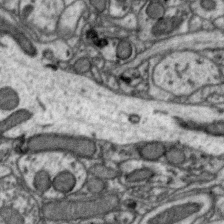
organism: Zebra finch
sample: Brain